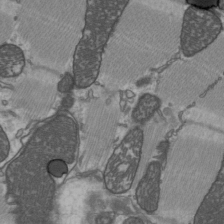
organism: C57BL Mouse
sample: Heart